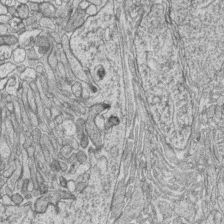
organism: Zebrafish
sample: synaptic ribbons in rod cells and cone cells